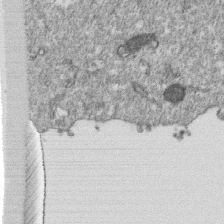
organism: African green monkey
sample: Vero E6 cells infected with SARS-CoV-2